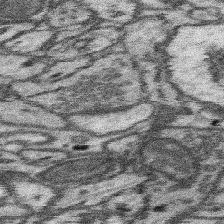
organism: Mouse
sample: Somatosensory cortex neuropil